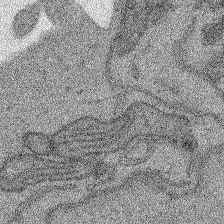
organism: Human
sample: HeLa cells